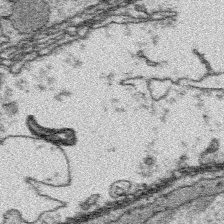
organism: Platynereis dumerilii